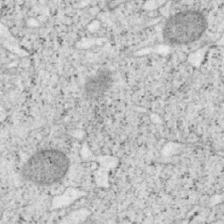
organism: Mouse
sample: OT-I killer T cells with ID8 ovarian cancer cells